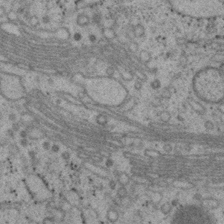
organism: Human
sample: HeLa cells